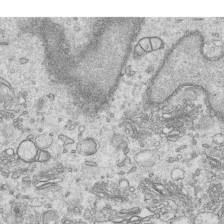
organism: Human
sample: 1205lu cells